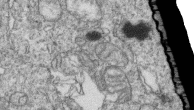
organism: Human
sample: HeLa cell HIV synapse